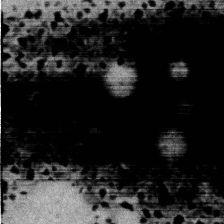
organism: Mouse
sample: Dividing mouse embryo 1 cell stage